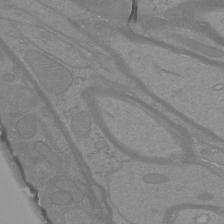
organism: Mouse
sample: Cortical neurons